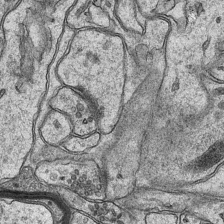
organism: Mouse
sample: CA1 Hippocampus